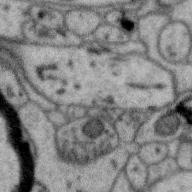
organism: Zebra finch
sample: Brain